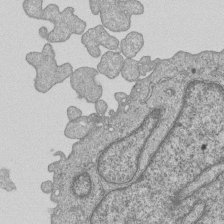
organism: Human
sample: MDA-MB-231 cells